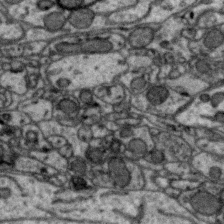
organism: Zebra finch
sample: Brain